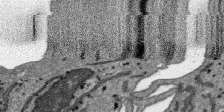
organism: Human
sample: Lung epithelial cells, uninfected (mock) control